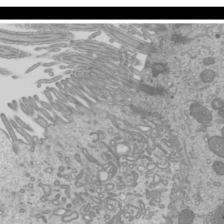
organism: Mouse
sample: Cilia; mouse epididymis